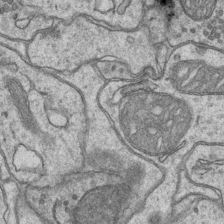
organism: Mouse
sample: CA1 Hippocampus